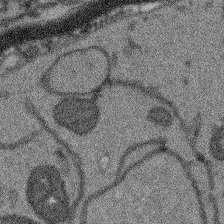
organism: Arabidopsis thaliana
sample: Root tip